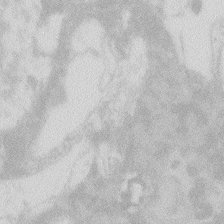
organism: Zebrafish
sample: Macrophage